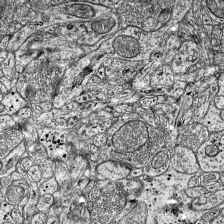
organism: Mouse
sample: Visual Cortex